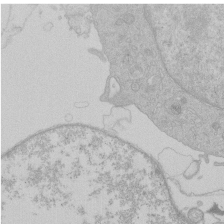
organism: Human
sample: Macrophage cells